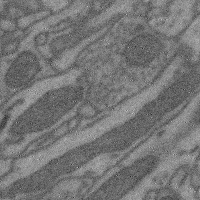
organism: Mouse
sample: Cerebral cortex